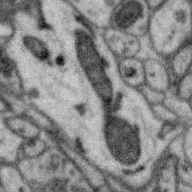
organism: Zebra finch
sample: Brain